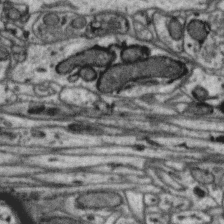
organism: Zebra finch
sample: Brain